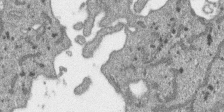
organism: Human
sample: Lung epithelial cells infected with SARS-CoV-2